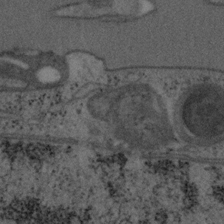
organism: Human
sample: HeLa cells